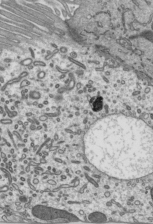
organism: Mouse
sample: Mouse epididymis efferent ductule cilia